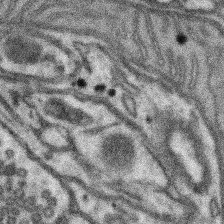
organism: Mouse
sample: Somatosensory cortex neuropil